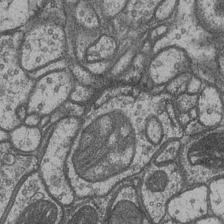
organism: Drosophila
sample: Optic medulla